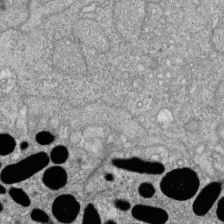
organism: Zebrafish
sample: Cilia; retinal pigment epithelium